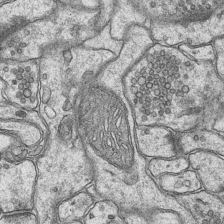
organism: Mouse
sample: CA1 Hippocampus